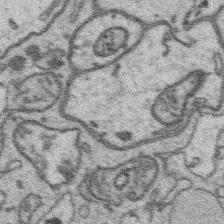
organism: Platynereis dumerilii